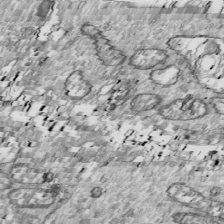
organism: Drosophila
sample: Cell division; meiosis; drosophila spermatocytes